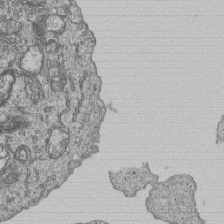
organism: Human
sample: MDA-MB-231 cells